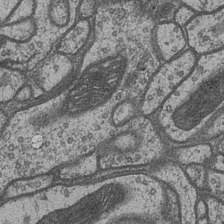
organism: Drosophila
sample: Optic medulla